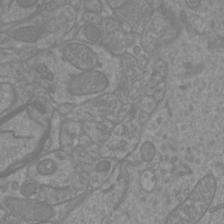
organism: Mouse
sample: Cortical neurons